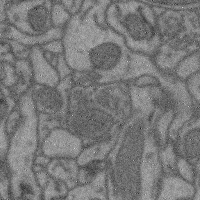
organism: Mouse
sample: Cerebral cortex